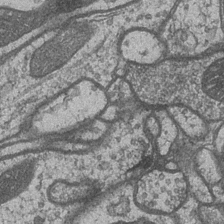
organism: Drosophila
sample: Optic medulla